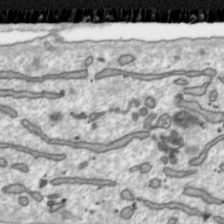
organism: Toxoplasma gondii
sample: Parasites in a vacuole inside a host cell